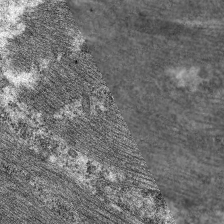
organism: C. elegans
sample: Pharynx